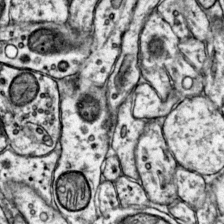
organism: Mouse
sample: Primary visual cortex